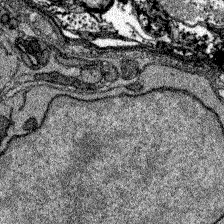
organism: Zebrafish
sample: Larval olfactory bulb